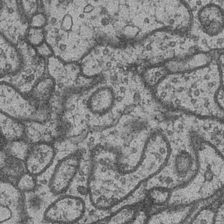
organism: Drosophila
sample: Optic medulla